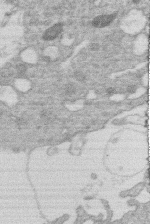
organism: Human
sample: Macrophage cells